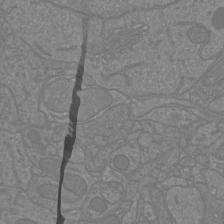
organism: Mouse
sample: Cortical neurons